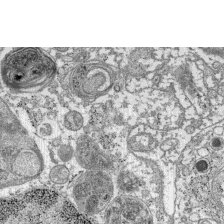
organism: C57BL Mouse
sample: Pancreatic islet